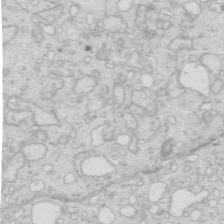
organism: Mouse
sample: Multiciliated cells